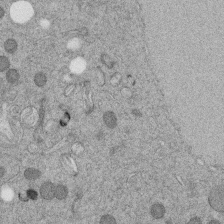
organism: C. elegans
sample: C. elegans embryo early stage